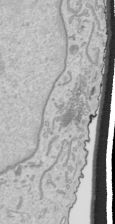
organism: Human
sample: Mitochondria in HCT116 cells